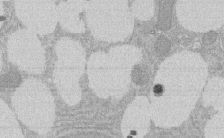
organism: Rat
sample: Salivary granule